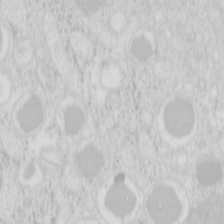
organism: Mouse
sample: Pancreas